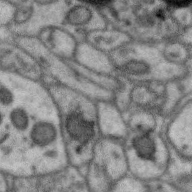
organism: Zebra finch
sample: Brain